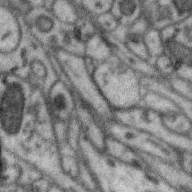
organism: Zebra finch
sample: Brain